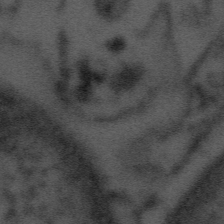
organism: Tuwongella immobilis